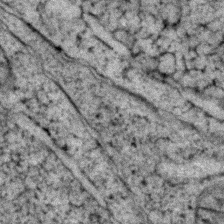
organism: Zebrafish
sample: Zebrafish embryo